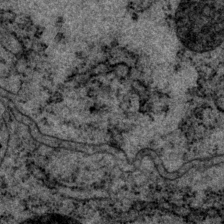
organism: P. pacificus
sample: Pharynx